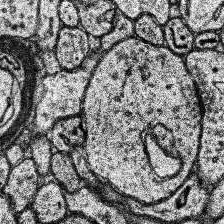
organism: Human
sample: Temporal Lobe